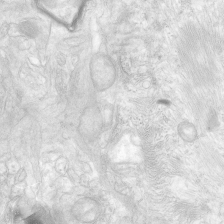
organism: Human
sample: Neocortex